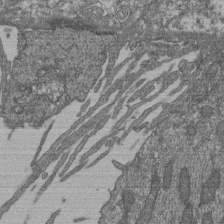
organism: Human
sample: Retinal organoid Rod and Cone cells